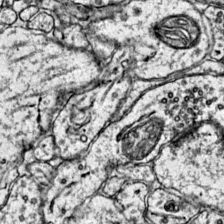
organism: Mouse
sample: Primary visual cortex